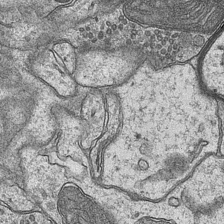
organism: Mouse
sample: CA1 Hippocampus